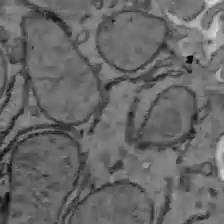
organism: C57BL Mouse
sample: Liver